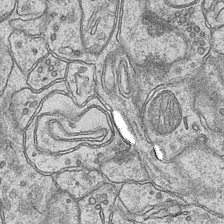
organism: Mouse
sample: CA1 Hippocampus